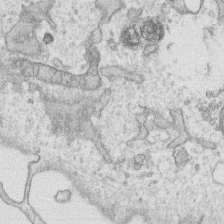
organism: Human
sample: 1205lu cells